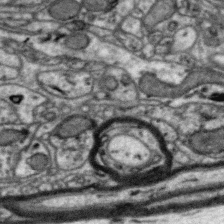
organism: Zebra finch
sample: Brain